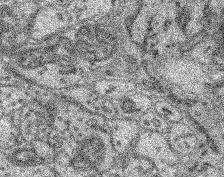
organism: Mouse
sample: Retina